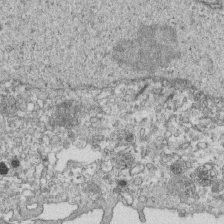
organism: Human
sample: HeLa cell HIV synapse